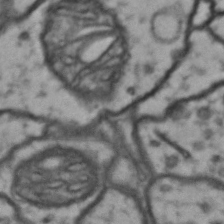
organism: Drosophila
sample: Brain